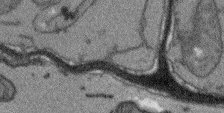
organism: Arabidopsis thaliana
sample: Root tip